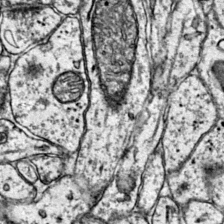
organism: Mouse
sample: Primary visual cortex